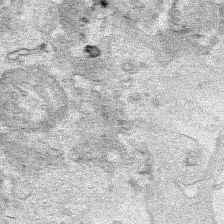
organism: Human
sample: Mitochondria in HCT116 cells